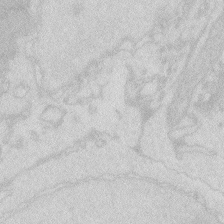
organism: Zebrafish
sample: Macrophage